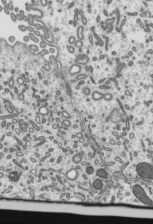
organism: Mouse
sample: Mouse epididymis efferent ductule cilia